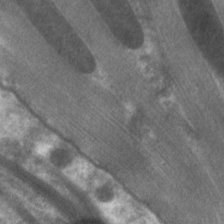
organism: C. elegans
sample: Pharynx